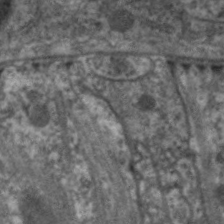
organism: C. elegans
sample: Pharynx